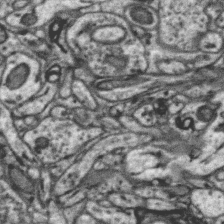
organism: Zebra finch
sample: Brain